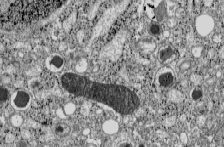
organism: C57BL Mouse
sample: Pancreatic islet